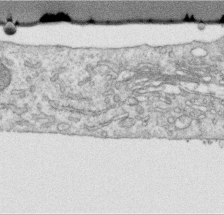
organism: Human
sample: Centriole in RPE cells